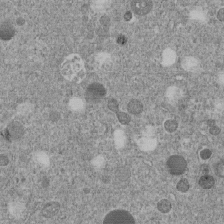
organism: C. elegans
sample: C. elegans embryo early stage